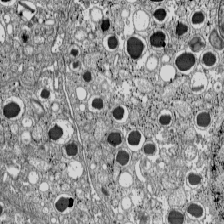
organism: C57BL Mouse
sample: Pancreatic islet